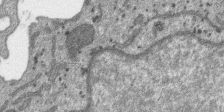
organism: Human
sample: Lung epithelial cells infected with SARS-CoV-2